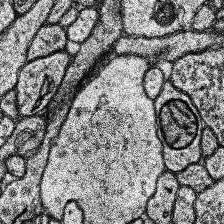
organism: Human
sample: Temporal Lobe